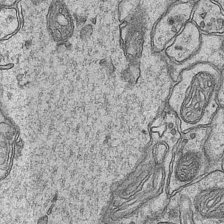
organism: Mouse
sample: CA1 Hippocampus